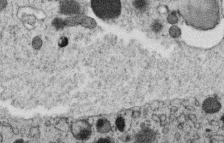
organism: C. elegans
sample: C. elegans oocyte; sperm cells